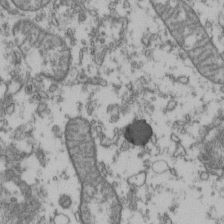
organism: Human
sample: Activated Jurkat CD4+ T cells